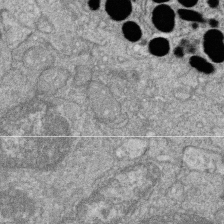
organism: Zebrafish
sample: Cilia; retinal pigment epithelium